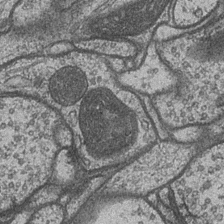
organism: Drosophila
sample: Optic medulla